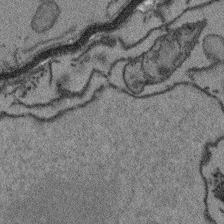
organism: Arabidopsis thaliana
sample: Root tip